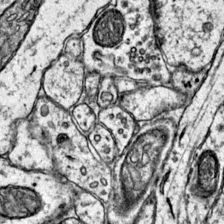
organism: Mouse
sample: Primary visual cortex